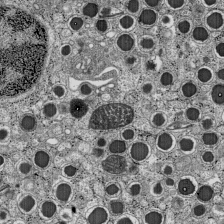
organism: C57BL Mouse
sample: Pancreatic islet